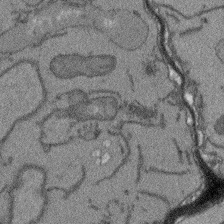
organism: Arabidopsis thaliana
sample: Root tip